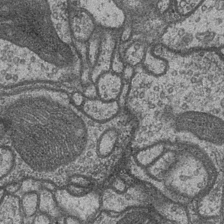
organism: Drosophila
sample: Optic medulla